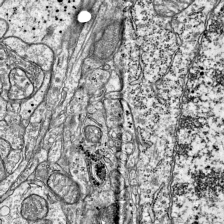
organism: Mouse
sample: Visual Cortex